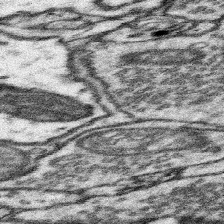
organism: Mouse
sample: Somatosensory cortex neuropil